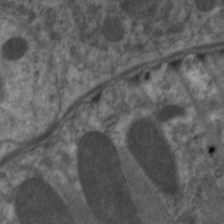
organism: C. elegans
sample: Pharynx